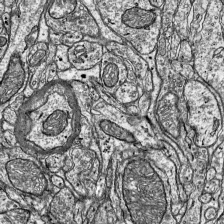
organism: Mouse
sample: Visual Cortex